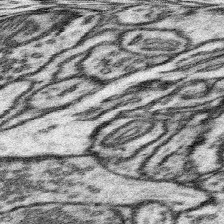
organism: Mouse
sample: Somatosensory cortex neuropil